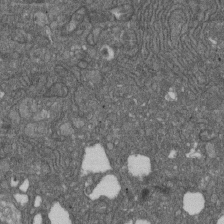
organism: Drosophila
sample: Nephrocyte